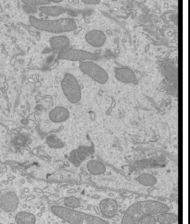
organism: Mouse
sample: Cilia; mouse epididymis